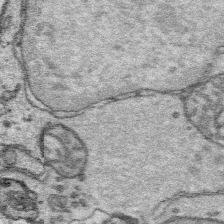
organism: Platynereis dumerilii